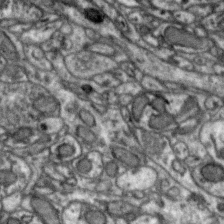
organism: Zebra finch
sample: Brain